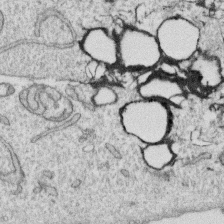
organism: Human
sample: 1205lu cells